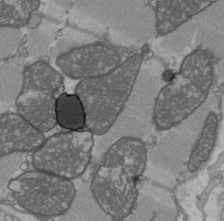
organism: C57BL Mouse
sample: Heart